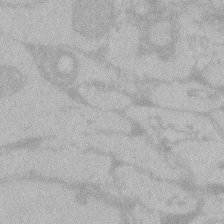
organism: Zebrafish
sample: Macrophage infected with Toxoplasma gondii